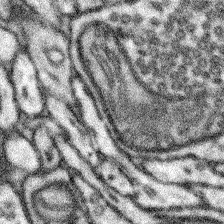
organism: Mouse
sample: Somatosensory cortex neuropil